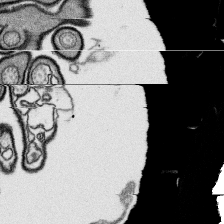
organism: Platynereis dumerilii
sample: Parapodia